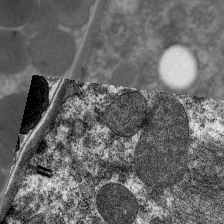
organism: C. elegans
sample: Pharynx